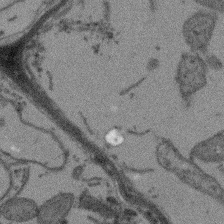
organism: Arabidopsis thaliana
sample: Root tip